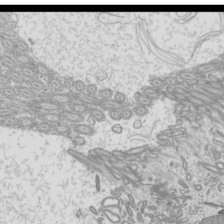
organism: Mouse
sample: Cilia; mouse epididymis